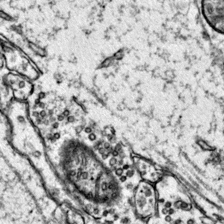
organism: Mouse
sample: Primary visual cortex